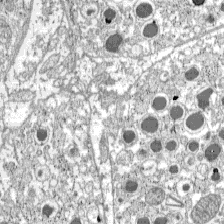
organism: C57BL Mouse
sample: Pancreatic islet